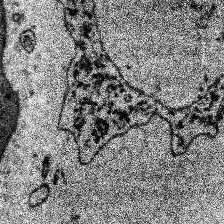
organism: Human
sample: Temporal Lobe